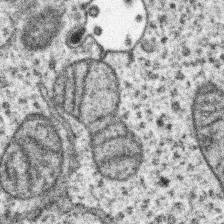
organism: Human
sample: HeLa cells